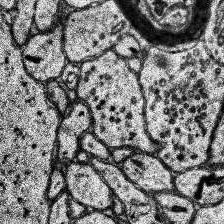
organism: Human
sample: Temporal Lobe